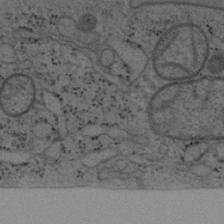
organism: Human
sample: HeLa cells